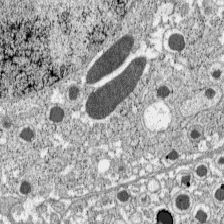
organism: C57BL Mouse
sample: Pancreatic islet